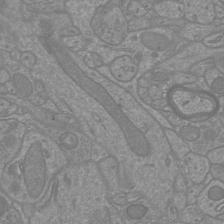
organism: Mouse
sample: Cortical neurons